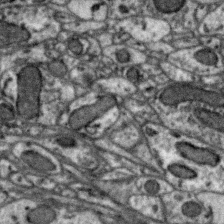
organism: Zebra finch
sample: Brain